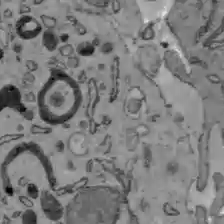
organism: C57BL Mouse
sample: Liver